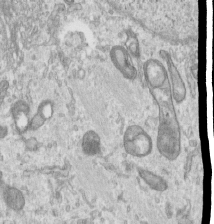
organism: Human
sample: Centriole in RPE cells